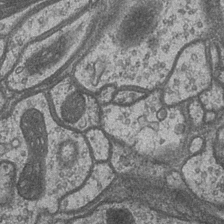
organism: Drosophila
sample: Optic medulla